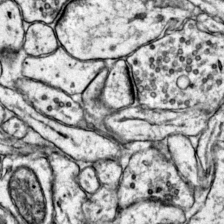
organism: Mouse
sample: Primary visual cortex